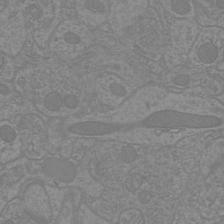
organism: Mouse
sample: Cortical neurons